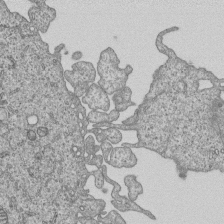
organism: Human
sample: MDA-MB-231 cells